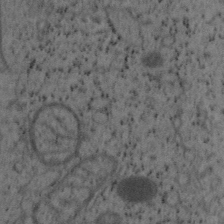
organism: Human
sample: HeLa cells